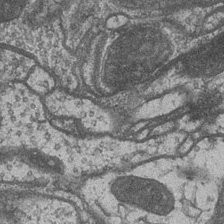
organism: Drosophila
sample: Optic medulla